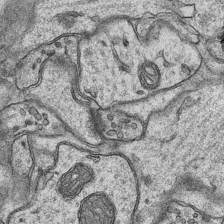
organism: Mouse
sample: CA1 Hippocampus